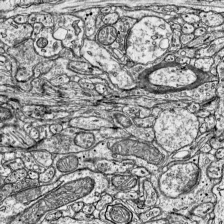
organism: Mouse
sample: Visual Cortex